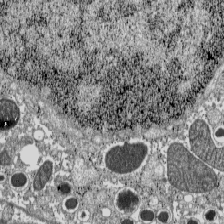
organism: C57BL Mouse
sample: Pancreatic islet